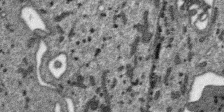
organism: Human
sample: Lung epithelial cells infected with SARS-CoV-2